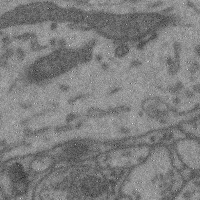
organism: Mouse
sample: Cerebral cortex